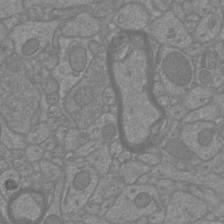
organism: Mouse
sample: Cortical neurons